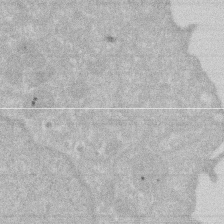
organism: Human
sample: HIV infected U937 cells